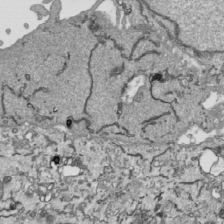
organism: Human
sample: Mitochondria in HCT116 cells